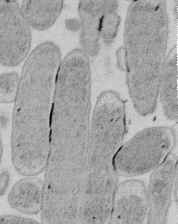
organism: E. coli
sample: Bacterial nucleoid